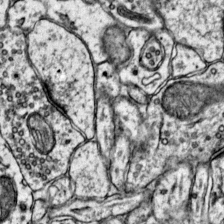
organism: Mouse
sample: Primary visual cortex